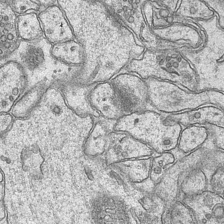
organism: Mouse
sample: CA1 Hippocampus